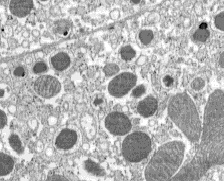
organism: C57BL Mouse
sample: Pancreatic islet